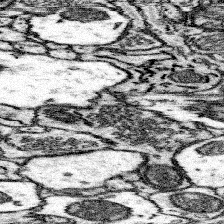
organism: Mouse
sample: Somatosensory cortex neuropil